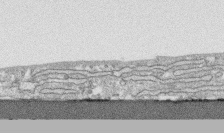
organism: Human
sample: CRL-1474